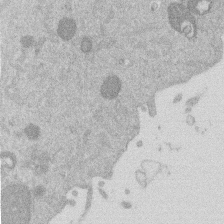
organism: Mouse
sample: Dividing mouse embryo 1 cell stage